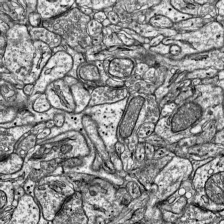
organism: Mouse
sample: Visual Cortex